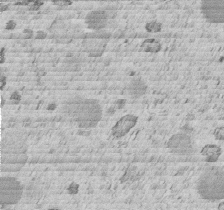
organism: C. elegans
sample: C. elegans embryo early stage